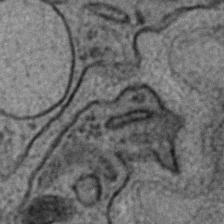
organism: C. elegans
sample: C. elegans embryo